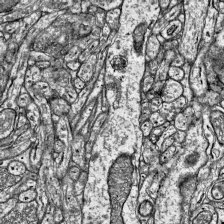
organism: Mouse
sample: Visual Cortex